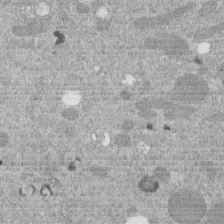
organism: C. elegans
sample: C. elegans embryo early stage